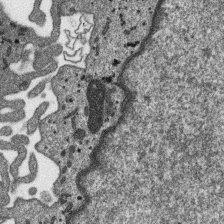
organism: Human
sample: Lung epithelial cells infected with SARS-CoV-2